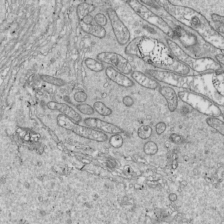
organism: Drosophila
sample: Cell division; meiosis; drosophila spermatocytes